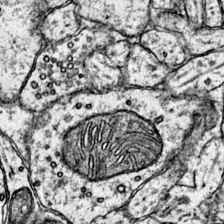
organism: Mouse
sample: Primary visual cortex